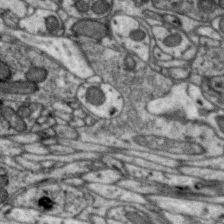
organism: Zebra finch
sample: Brain